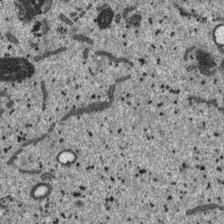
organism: Human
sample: Lung epithelial cells infected with SARS-CoV-2